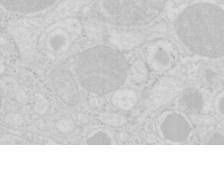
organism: Mouse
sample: Pancreas